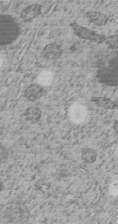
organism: C. elegans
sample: C. elegans embryo early stage